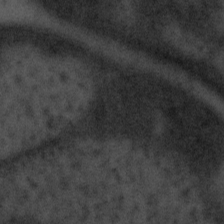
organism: Tuwongella immobilis